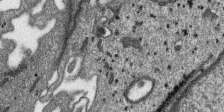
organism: Human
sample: Lung epithelial cells infected with SARS-CoV-2